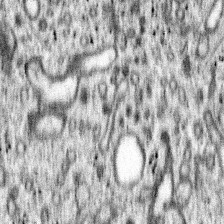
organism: Human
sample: HeLa cells